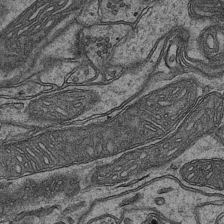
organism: Mouse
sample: CA1 Hippocampus